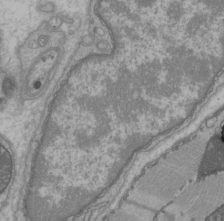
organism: C57BL Mouse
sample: Heart